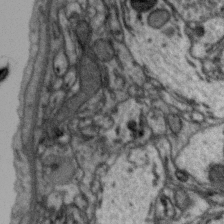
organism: Zebra finch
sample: Brain